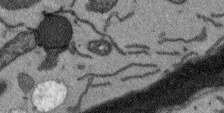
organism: Arabidopsis thaliana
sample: Root tip